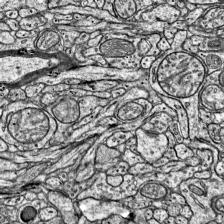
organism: Mouse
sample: Visual Cortex